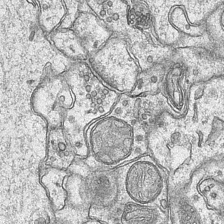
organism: Mouse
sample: CA1 Hippocampus